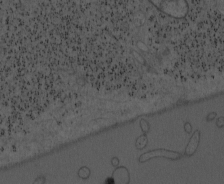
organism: Mouse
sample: OT-I killer T cells with ID8 ovarian cancer cells